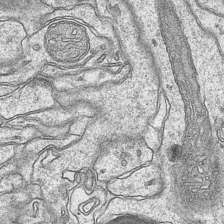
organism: Mouse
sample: CA1 Hippocampus